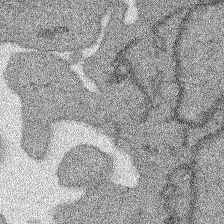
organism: Human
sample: HeLa cells